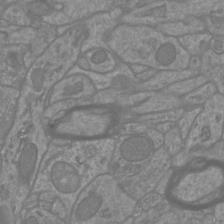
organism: Mouse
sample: Cortical neurons